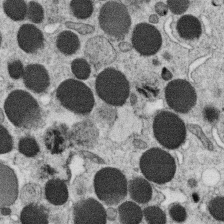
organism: C. elegans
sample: C. elegans oocyte; sperm cells